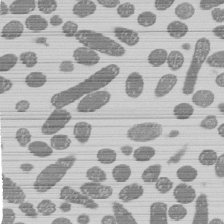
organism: E. coli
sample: Bacterial nucleoid